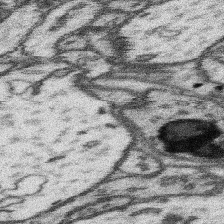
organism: Mouse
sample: Somatosensory cortex neuropil